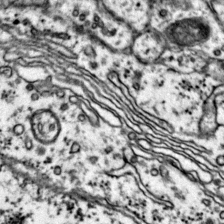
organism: Mouse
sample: Primary visual cortex